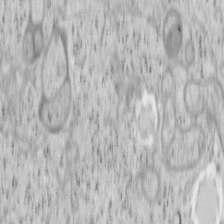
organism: Human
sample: HeLa cells